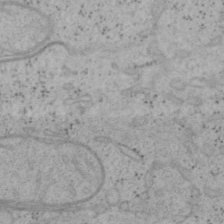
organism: Human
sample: HeLa cells